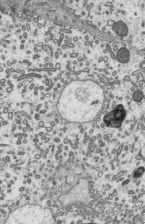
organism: Mouse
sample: Mouse epididymis efferent ductule cilia